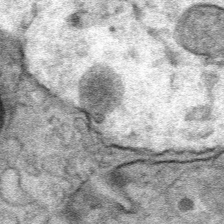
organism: Mouse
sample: Mouse Salivary gland